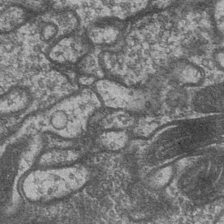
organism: Drosophila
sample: Optic medulla